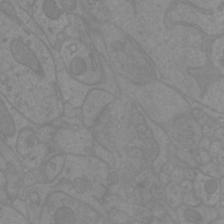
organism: Mouse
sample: Cortical neurons